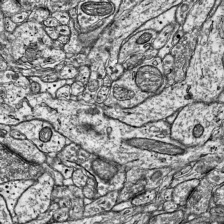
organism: Mouse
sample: Visual Cortex